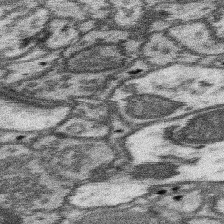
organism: Mouse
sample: Somatosensory cortex neuropil